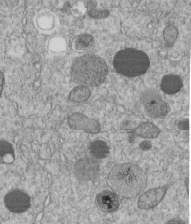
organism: C. elegans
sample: C. elegans embryo early stage